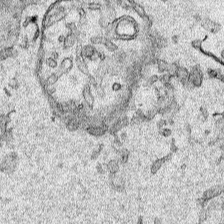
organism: Human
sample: Mitochondria in HCT116 cells